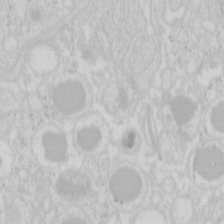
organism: Mouse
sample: Pancreas